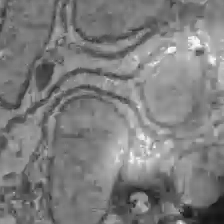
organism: C57BL Mouse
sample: Liver